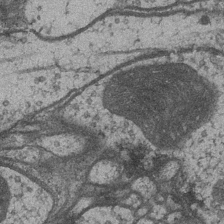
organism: Drosophila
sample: Optic medulla